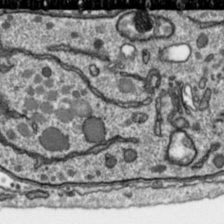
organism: Toxoplasma gondii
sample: Parasites in a vacuole inside a host cell